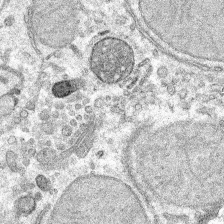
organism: Mouse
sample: Mouse hepatocytes